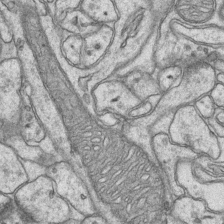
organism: Mouse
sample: CA1 Hippocampus